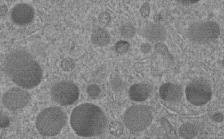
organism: C. elegans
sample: C. elegans embryo early stage